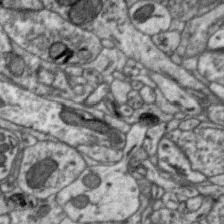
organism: Zebra finch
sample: Brain